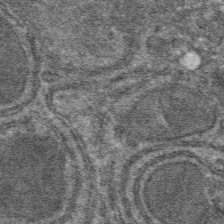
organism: Mouse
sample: Mouse hepatocytes